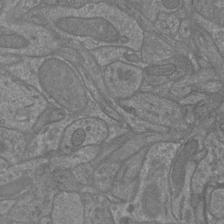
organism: Mouse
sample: Cortical neurons